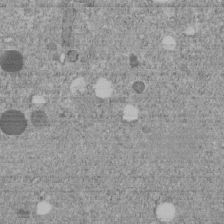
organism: C. elegans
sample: C. elegans embryo early stage